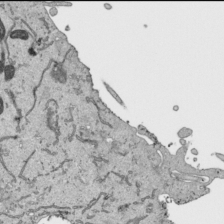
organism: Human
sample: Mitochondria in HCT116 cells